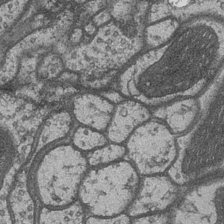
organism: Drosophila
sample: Optic medulla